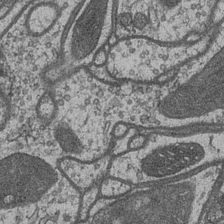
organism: Drosophila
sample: Optic medulla